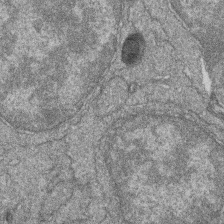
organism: Zebrafish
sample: Cilia; retinal pigment epithelium